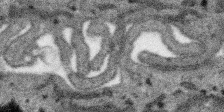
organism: Human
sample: Lung epithelial cells infected with SARS-CoV-2